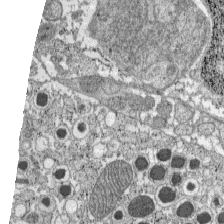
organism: C57BL Mouse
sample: Pancreatic islet